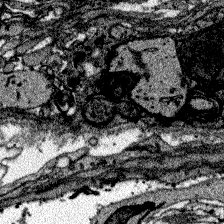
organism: Zebrafish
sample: Larval olfactory bulb